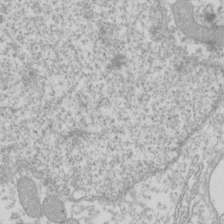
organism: Xenopus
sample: Cilia; centrioles in frog embryo cells